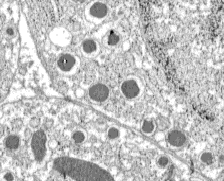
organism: C57BL Mouse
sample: Pancreatic islet